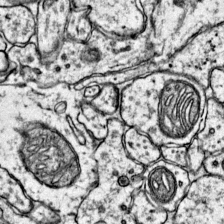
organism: Mouse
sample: Primary visual cortex